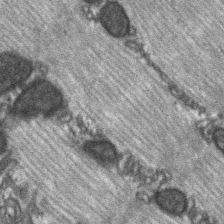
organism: C57BL Mouse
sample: Soleus